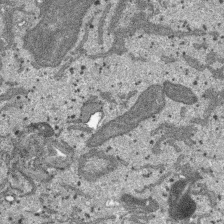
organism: Human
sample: Lung epithelial cells infected with SARS-CoV-2